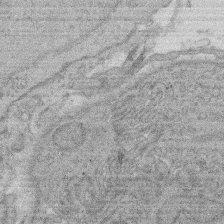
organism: Rat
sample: Salivary granule